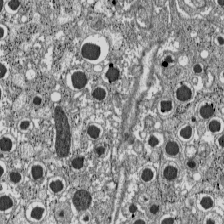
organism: C57BL Mouse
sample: Pancreatic islet